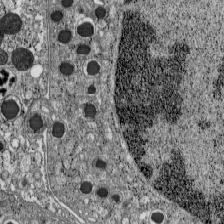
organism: C57BL Mouse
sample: Pancreatic islet